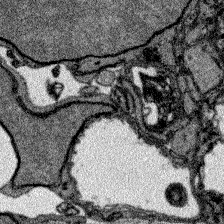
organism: Zebrafish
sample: Larval olfactory bulb